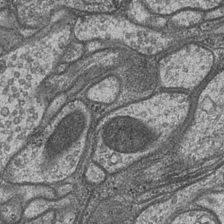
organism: Drosophila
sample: Optic medulla